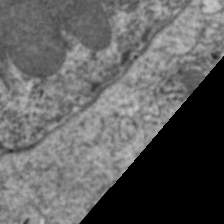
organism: C. elegans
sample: Pharynx